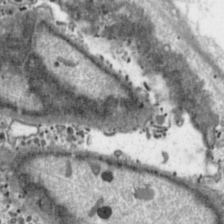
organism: Toxoplasma gondii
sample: Parasites in a vacuole inside a host cell